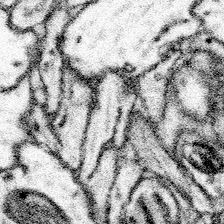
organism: Mouse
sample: Somatosensory cortex neuropil